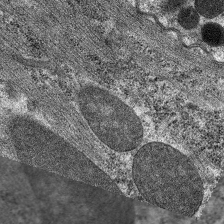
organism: C. elegans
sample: Pharynx